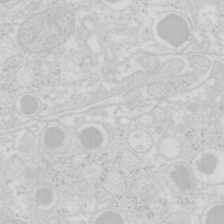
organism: Mouse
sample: Pancreas